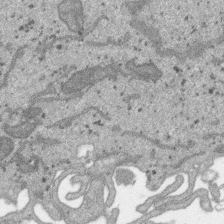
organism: Human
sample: Lung epithelial cells infected with SARS-CoV-2